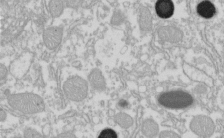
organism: Xenopus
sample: Cilia; centrioles in frog embryo cells